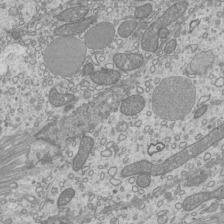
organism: Mouse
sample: Cilia; mouse epididymis